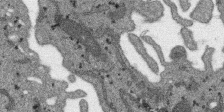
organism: Human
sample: Lung epithelial cells infected with SARS-CoV-2